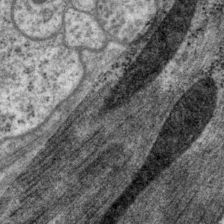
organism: P. pacificus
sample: Pharynx